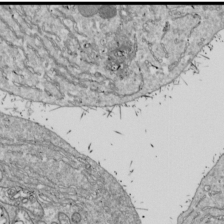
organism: Drosophila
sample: Cell division; meiosis; drosophila spermatocytes